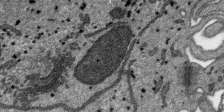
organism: Human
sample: Lung epithelial cells, uninfected (mock) control